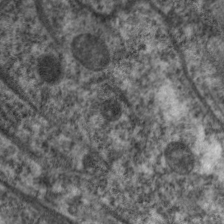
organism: C. elegans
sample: Pharynx